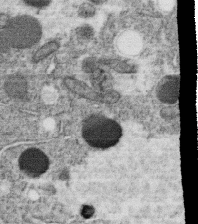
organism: C. elegans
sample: C. elegans oocyte; sperm cells